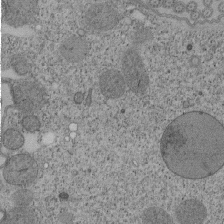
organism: Tetrahymena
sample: Cilia in tetrahymena